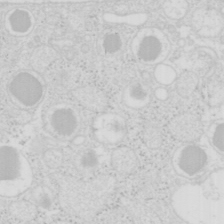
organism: Mouse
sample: Pancreas